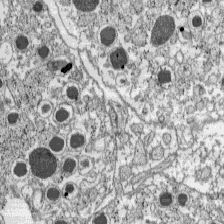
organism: C57BL Mouse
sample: Pancreatic islet